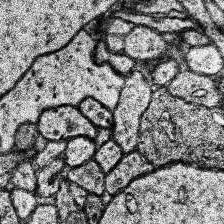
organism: Human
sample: Temporal Lobe